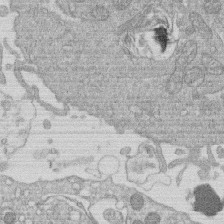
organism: Human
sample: Macrophage cells